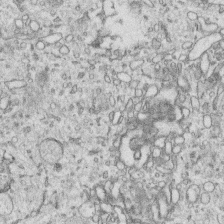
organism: Human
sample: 1205lu cells